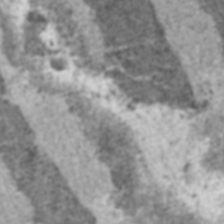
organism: C57BL Mouse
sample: Heart